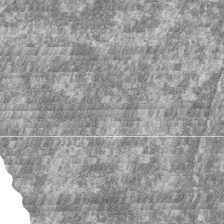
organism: Zebrafish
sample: Cilia; retinal pigment epithelium